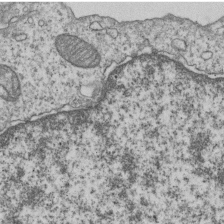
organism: Human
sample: MDA-MB-231 cells